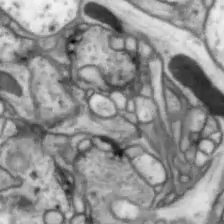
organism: Drosophila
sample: Optic lobe